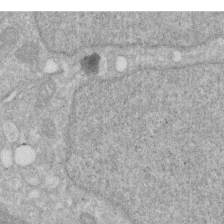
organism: Human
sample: HIV infected U937 cells